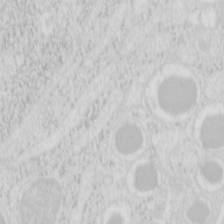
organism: Mouse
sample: Pancreas